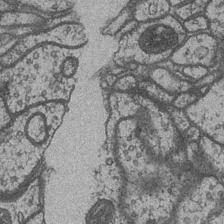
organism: Drosophila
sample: Optic medulla